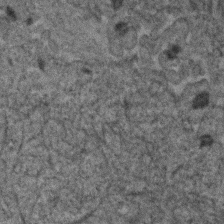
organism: Human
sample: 1205lu cells